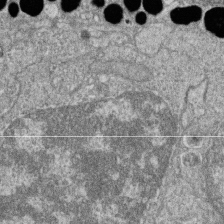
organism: Zebrafish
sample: Cilia; retinal pigment epithelium